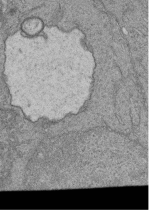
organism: Human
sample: Retinal organoid Rod and Cone cells